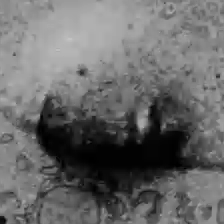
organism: C57BL Mouse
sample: Liver